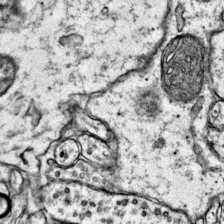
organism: Mouse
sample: Primary visual cortex